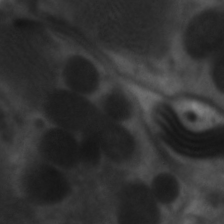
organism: C. elegans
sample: Pharynx